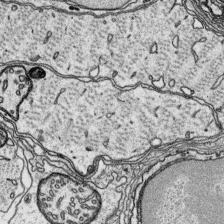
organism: Platynereis dumerilii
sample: Parapodia